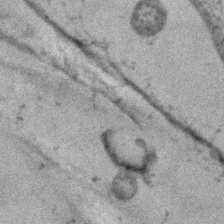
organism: Human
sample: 1205lu cells